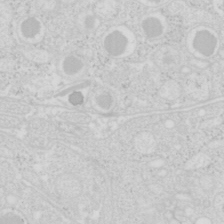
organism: Mouse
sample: Pancreas